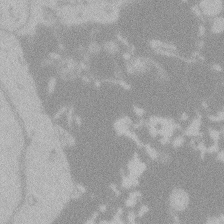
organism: Zebrafish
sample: Macrophage infected with Toxoplasma gondii